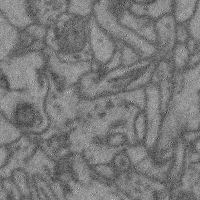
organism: Mouse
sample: Cerebral cortex